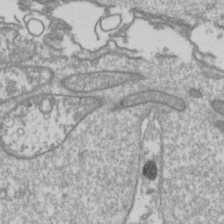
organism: Drosophila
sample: Cell division; meiosis; drosophila spermatocytes